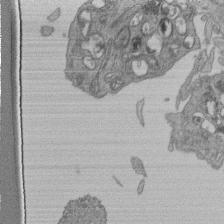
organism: Human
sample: Retinal organoid Rod and Cone cells